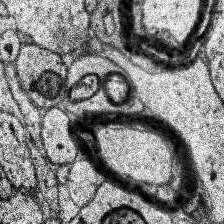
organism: Human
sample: Temporal Lobe